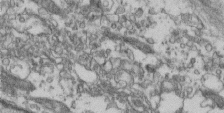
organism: Human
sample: Centriole in fibroblast cells